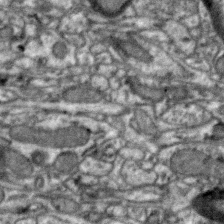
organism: Zebra finch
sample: Brain